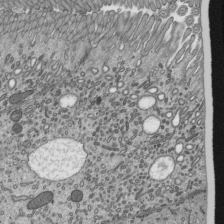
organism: Mouse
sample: Mouse epididymis efferent ductule cilia